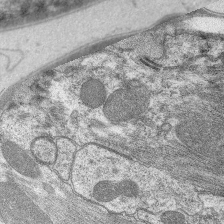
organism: C. elegans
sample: Pharynx